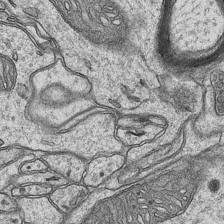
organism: Mouse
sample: CA1 Hippocampus